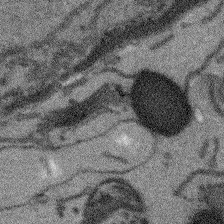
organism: Arabidopsis thaliana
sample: Root tip